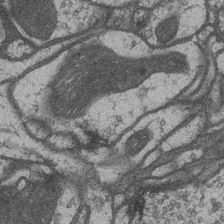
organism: Drosophila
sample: Optic medulla